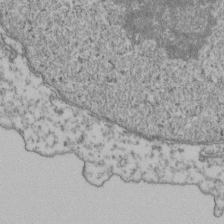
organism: Human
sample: Activated Jurkat CD4+ T cells